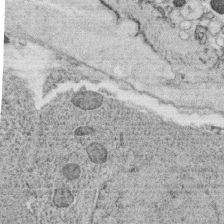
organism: C. elegans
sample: C. elegans oocyte; sperm cells